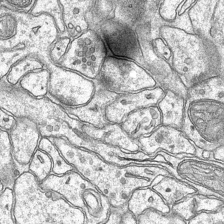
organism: Mouse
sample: CA1 Hippocampus